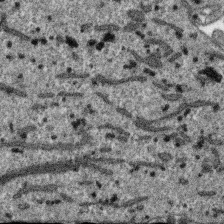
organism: Human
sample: Lung epithelial cells infected with SARS-CoV-2